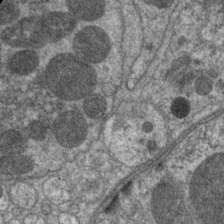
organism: C. elegans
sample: Pharynx